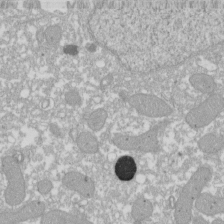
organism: Xenopus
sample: Cilia; centrioles in frog embryo cells